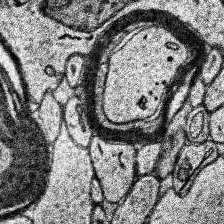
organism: Human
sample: Temporal Lobe